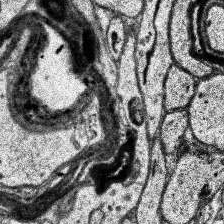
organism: Human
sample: Temporal Lobe